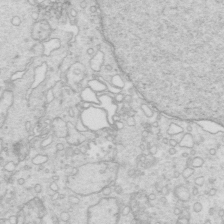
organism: Mouse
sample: Multiciliated cells